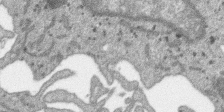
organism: Human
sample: Lung epithelial cells infected with SARS-CoV-2